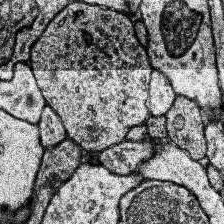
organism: Human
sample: Temporal Lobe